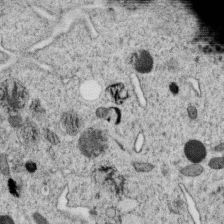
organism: C. elegans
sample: C. elegans oocyte; sperm cells